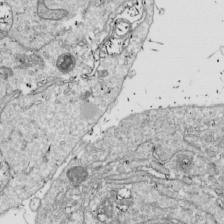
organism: Drosophila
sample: Cell division; meiosis; drosophila spermatocytes